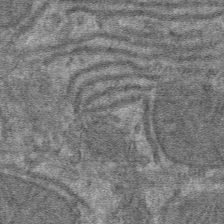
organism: Mouse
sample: Mouse hepatocytes